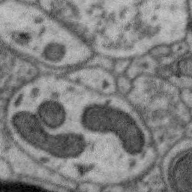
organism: Zebra finch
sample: Brain